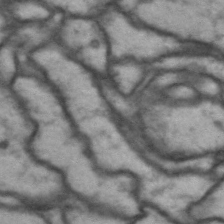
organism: Drosophila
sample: Brain